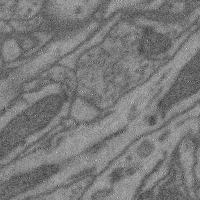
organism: Mouse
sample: Cerebral cortex